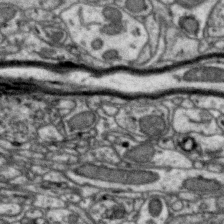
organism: Zebra finch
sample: Brain